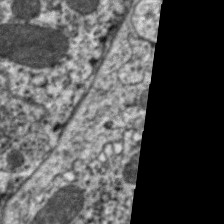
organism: C. elegans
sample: Pharynx